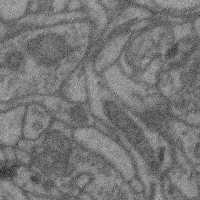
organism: Mouse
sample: Cerebral cortex